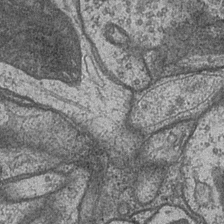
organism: Drosophila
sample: Optic medulla